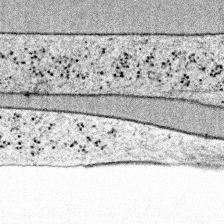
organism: Human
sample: HeLa cells